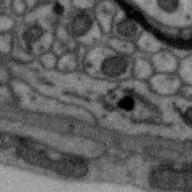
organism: Zebra finch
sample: Brain